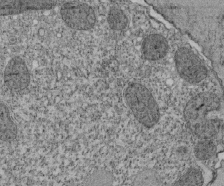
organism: Tetrahymena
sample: Cilia in tetrahymena